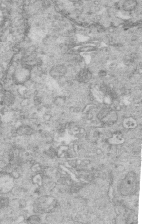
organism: Mouse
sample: Multiciliated cells